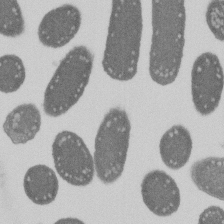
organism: E. coli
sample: Bacterial nucleoid